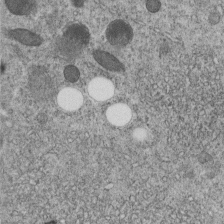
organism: C. elegans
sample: C. elegans embryo early stage